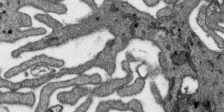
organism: Human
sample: Lung epithelial cells, uninfected (mock) control